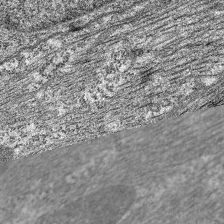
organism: C. elegans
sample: Pharynx